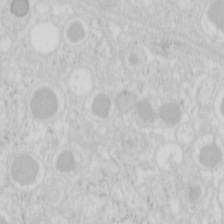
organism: Mouse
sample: Pancreas